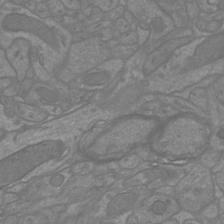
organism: Mouse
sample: Cortical neurons